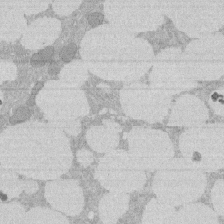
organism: Rat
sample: Salivary granule